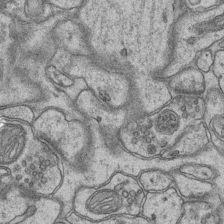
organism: Mouse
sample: CA1 Hippocampus